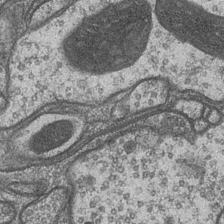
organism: Drosophila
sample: Optic medulla